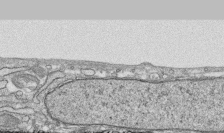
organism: Human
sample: CRL-1474